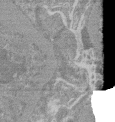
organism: Mouse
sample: Glomerulus